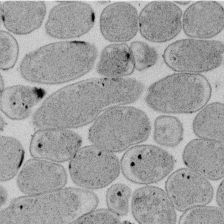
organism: E. coli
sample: Bacterial nucleoid